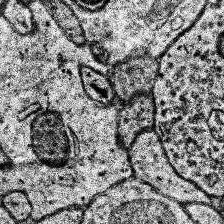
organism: Human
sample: Temporal Lobe